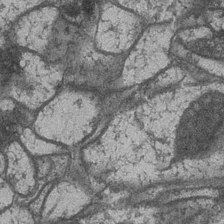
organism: Drosophila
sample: Optic medulla